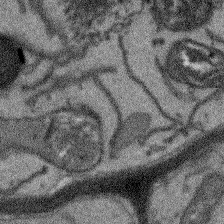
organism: Arabidopsis thaliana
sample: Root tip